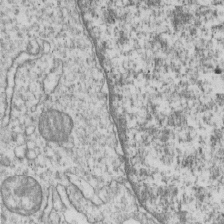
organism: Human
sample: MDA-MB-231 cells